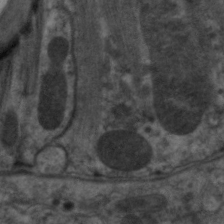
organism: C. elegans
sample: Pharynx